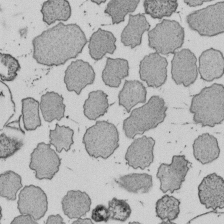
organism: E. coli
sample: Bacterial nucleoid